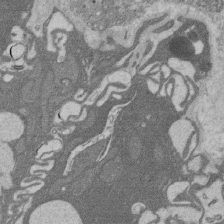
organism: Rat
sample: Salivary granule